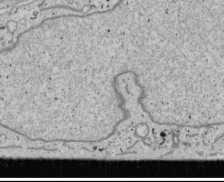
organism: Human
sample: Mitochondria in U2OS cells